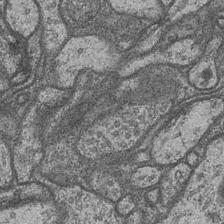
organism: Drosophila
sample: Optic medulla